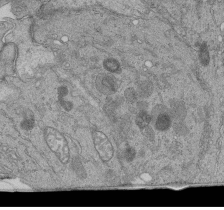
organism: Human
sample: Retinal organoid Rod and Cone cells